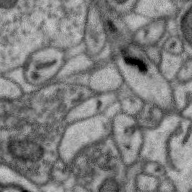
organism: Zebra finch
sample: Brain